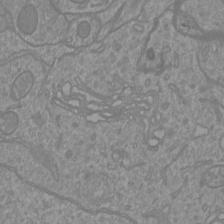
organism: Mouse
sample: Cortical neurons